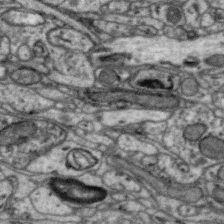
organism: Zebra finch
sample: Brain